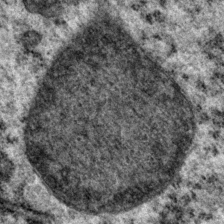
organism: P. pacificus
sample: Pharynx